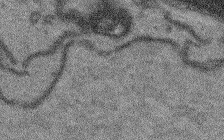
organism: Arabidopsis thaliana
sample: Root tip